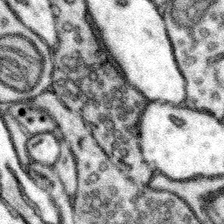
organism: Mouse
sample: Somatosensory cortex neuropil